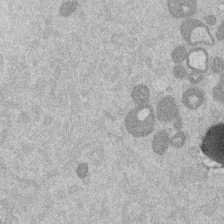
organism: Mouse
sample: Dividing mouse embryo 1 cell stage